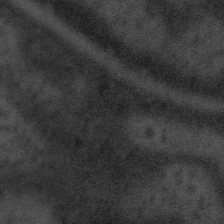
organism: Tuwongella immobilis